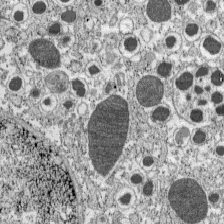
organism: C57BL Mouse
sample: Pancreatic islet